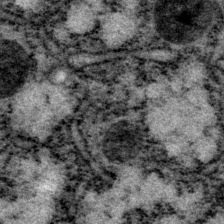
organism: P. pacificus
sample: Pharynx